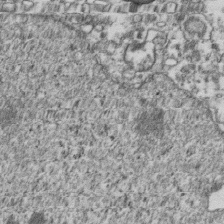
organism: Human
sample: Activated Jurkat CD4+ T cells